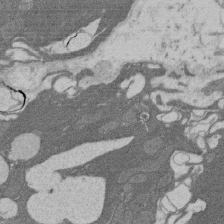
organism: Rat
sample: Salivary granule